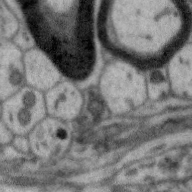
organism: Zebra finch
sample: Brain